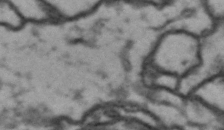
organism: Drosophila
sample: Brain